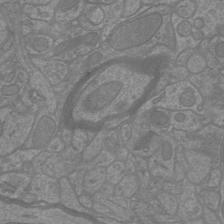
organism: Mouse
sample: Cortical neurons